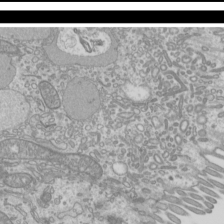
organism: Mouse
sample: Cilia; mouse epididymis